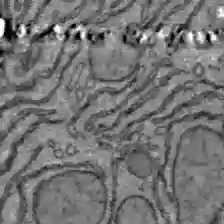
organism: C57BL Mouse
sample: Liver